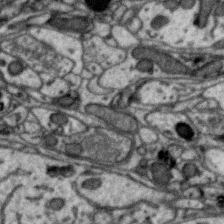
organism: Zebra finch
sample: Brain